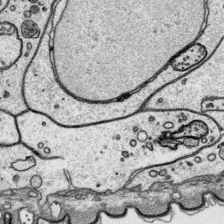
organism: Platynereis dumerilii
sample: Parapodia